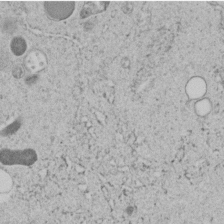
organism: C. elegans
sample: C. elegans embryo early stage